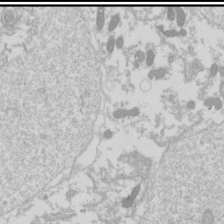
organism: Drosophila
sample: Cell division; meiosis; drosophila spermatocytes